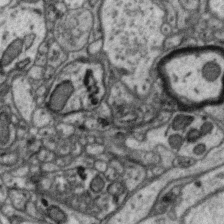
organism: Zebra finch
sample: Brain